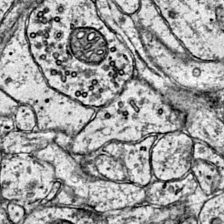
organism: Mouse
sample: Primary visual cortex